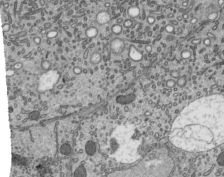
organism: Mouse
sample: Mouse epididymis efferent ductule cilia